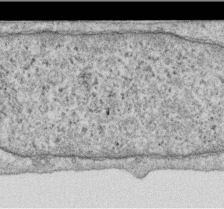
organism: Human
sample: Centriole in RPE cells